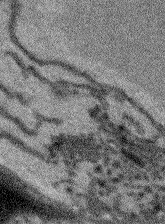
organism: Arabidopsis thaliana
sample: Root tip